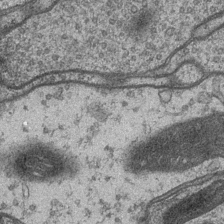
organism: Drosophila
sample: Optic medulla